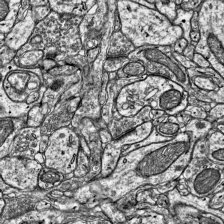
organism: Mouse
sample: Visual Cortex